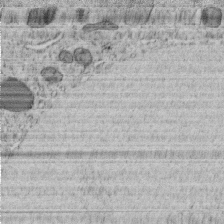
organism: C. elegans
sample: C. elegans embryo early stage